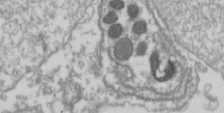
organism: Drosophila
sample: Cell division; meiosis; drosophila spermatocytes